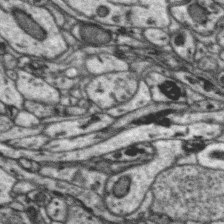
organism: Zebra finch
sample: Brain